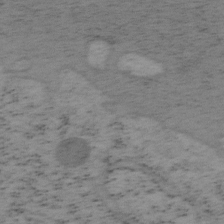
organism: Mouse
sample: OT-I killer T cells with ID8 ovarian cancer cells